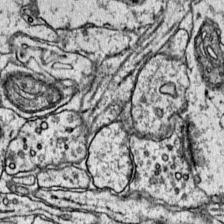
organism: Mouse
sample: Primary visual cortex